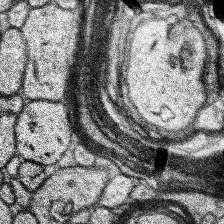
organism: Human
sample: Temporal Lobe